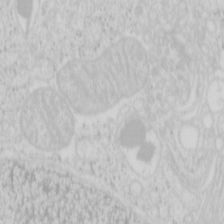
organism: Mouse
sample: Pancreas